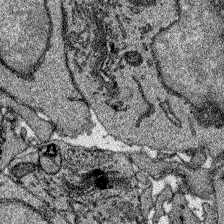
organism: Zebrafish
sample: Larval olfactory bulb